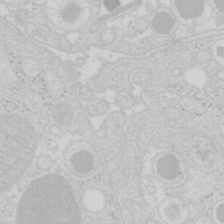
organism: Mouse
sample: Pancreas